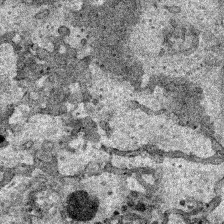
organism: Human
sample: Mitochondria in HCT116 cells